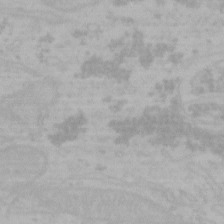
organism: Mouse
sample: Choroid plexus